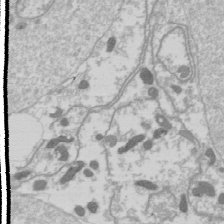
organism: Drosophila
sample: Cell division; meiosis; drosophila spermatocytes